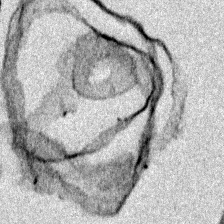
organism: Zebrafish